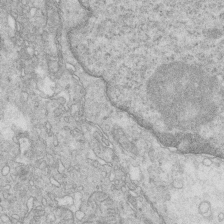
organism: Mouse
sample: Multiciliated cells